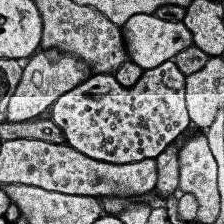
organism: Human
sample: Temporal Lobe